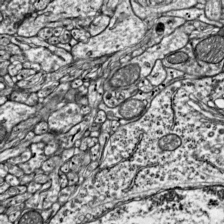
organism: Mouse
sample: Visual Cortex